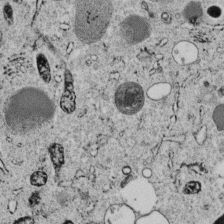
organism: C. elegans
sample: C. elegans embryo early stage